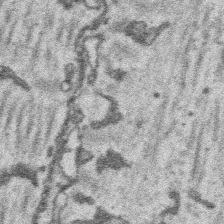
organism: Platynereis dumerilii